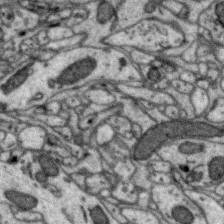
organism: Zebra finch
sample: Brain